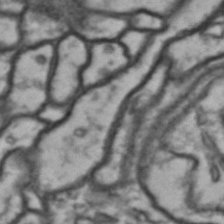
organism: Drosophila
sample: Brain